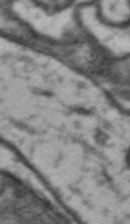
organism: Drosophila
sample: Brain